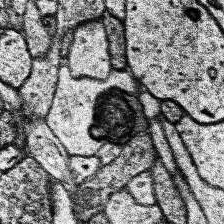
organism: Human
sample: Temporal Lobe